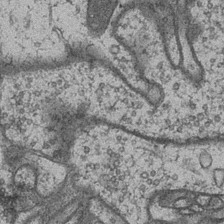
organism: Drosophila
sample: Optic medulla